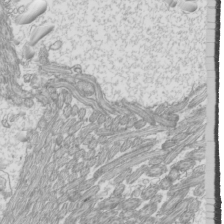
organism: Mouse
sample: Cilia; mouse epididymis